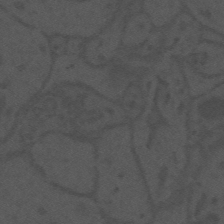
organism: Mouse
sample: Suprachiasmatic nucleus